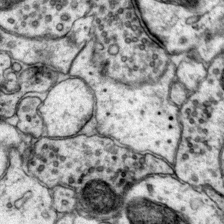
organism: Mouse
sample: Primary visual cortex